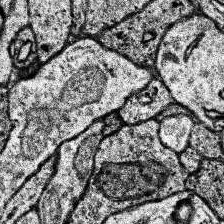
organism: Human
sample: Temporal Lobe